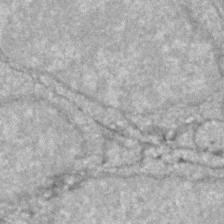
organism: Zebrafish